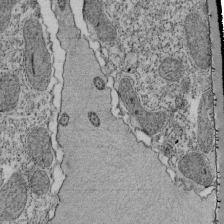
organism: Tetrahymena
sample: Cilia in tetrahymena